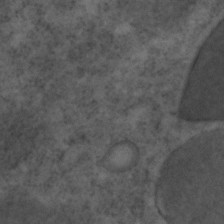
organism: C. elegans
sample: C. elegans embryo